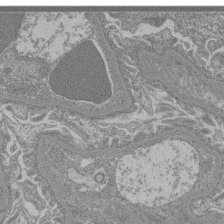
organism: Mouse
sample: Glomerulus